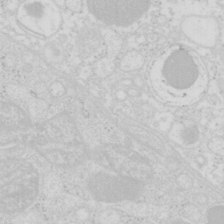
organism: Mouse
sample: Pancreas